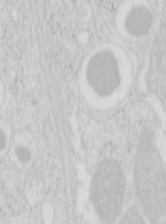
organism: Mouse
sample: Pancreas